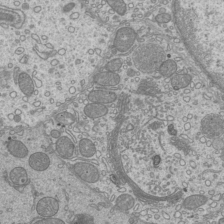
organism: Mouse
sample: Cilia; mouse epididymis